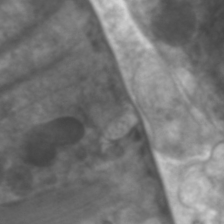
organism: C. elegans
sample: Pharynx